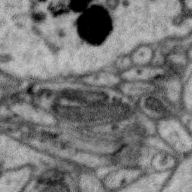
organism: Zebra finch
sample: Brain